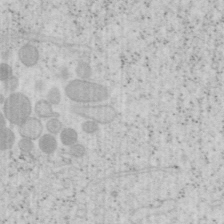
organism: Human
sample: HeLa cells